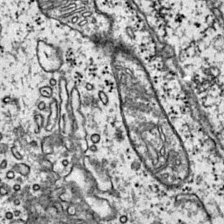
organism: Mouse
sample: Primary visual cortex